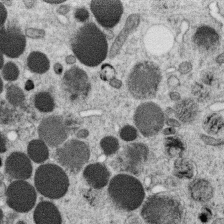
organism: C. elegans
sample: C. elegans oocyte; sperm cells